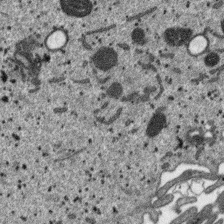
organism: Human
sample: Lung epithelial cells infected with SARS-CoV-2